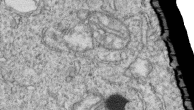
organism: Human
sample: HeLa cell HIV synapse